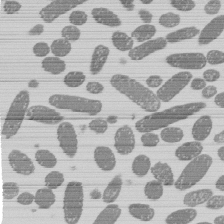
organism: E. coli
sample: Bacterial nucleoid